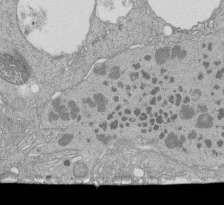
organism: Tetrahymena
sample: Cilia in tetrahymena